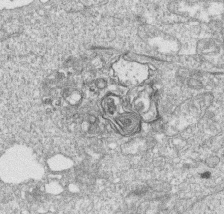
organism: Human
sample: HeLa cell HIV synapse